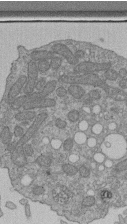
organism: Human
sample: Retinal organoid Rod and Cone cells